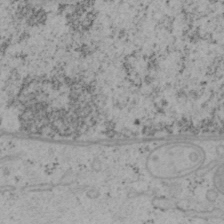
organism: Human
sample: HeLa cells